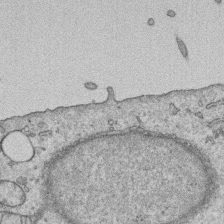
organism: Human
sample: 1205lu cells